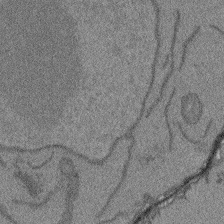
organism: Arabidopsis thaliana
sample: Root tip